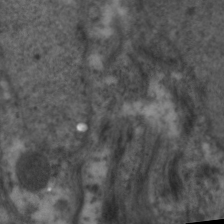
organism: C. elegans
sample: Pharynx